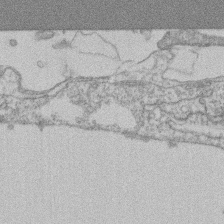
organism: Mouse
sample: T cell stromal cell synapse